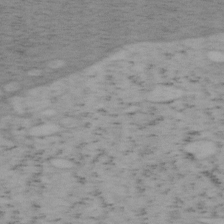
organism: Mouse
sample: OT-I killer T cells with ID8 ovarian cancer cells